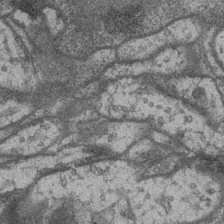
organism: Drosophila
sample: Optic medulla